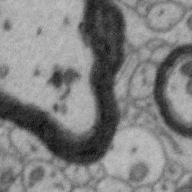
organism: Zebra finch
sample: Brain